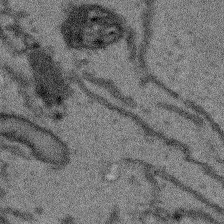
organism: Arabidopsis thaliana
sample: Root tip